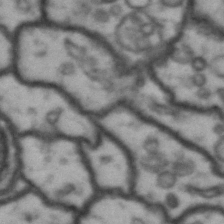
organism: Drosophila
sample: Brain